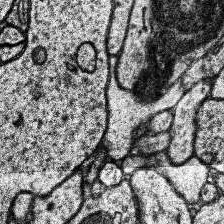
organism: Human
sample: Temporal Lobe